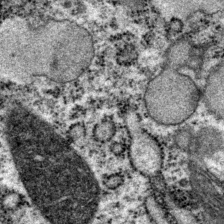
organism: P. pacificus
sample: Pharynx